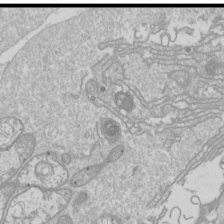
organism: Drosophila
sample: Cell division; meiosis; drosophila spermatocytes